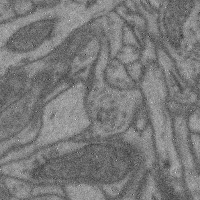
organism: Mouse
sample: Cerebral cortex